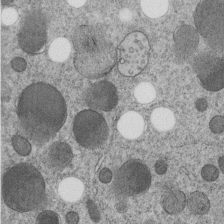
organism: C. elegans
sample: C. elegans embryo early stage